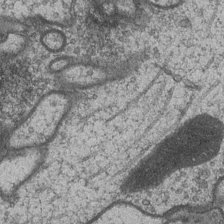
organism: Drosophila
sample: Optic medulla